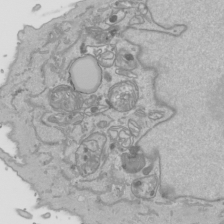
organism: Human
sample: Mitochondria in HCT116 cells